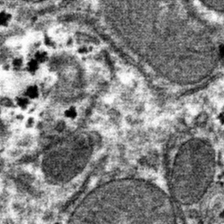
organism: Mouse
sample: Mouse hepatocytes